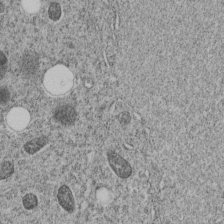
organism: C. elegans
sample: C. elegans embryo early stage